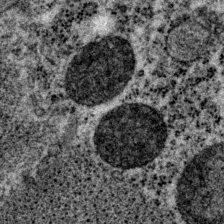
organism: P. pacificus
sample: Pharynx